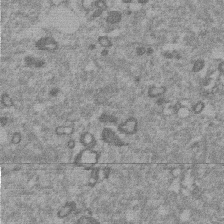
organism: Mouse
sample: Dividing mouse embryo 1 cell stage